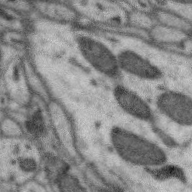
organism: Zebra finch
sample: Brain